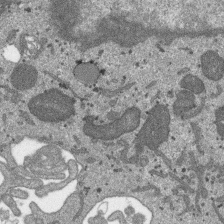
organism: Human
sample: Lung epithelial cells infected with SARS-CoV-2